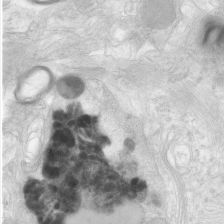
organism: Human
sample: Neocortex